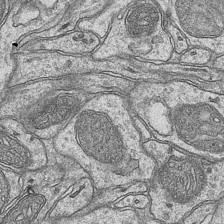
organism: Mouse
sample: CA1 Hippocampus